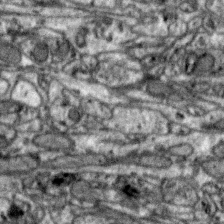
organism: Zebra finch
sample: Brain